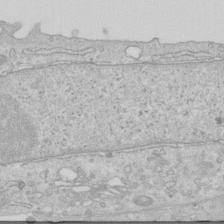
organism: Human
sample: Centriole in RPE cells